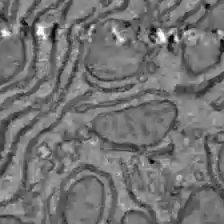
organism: C57BL Mouse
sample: Liver